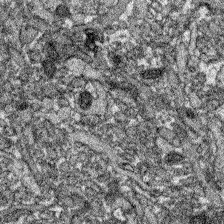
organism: Zebrafish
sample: Larval olfactory bulb